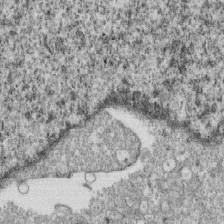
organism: African green monkey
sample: Vero E6 cells infected with SARS-CoV-2